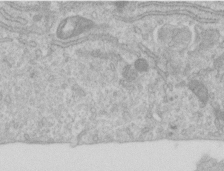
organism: Human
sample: Centriole in RPE cells